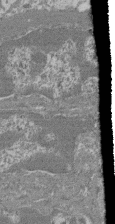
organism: Mouse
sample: Glomerulus